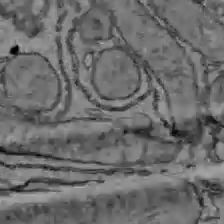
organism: C57BL Mouse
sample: Liver